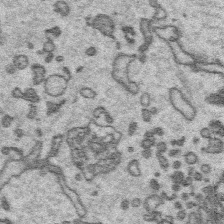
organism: Platynereis dumerilii